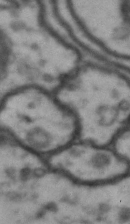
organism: Drosophila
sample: Brain